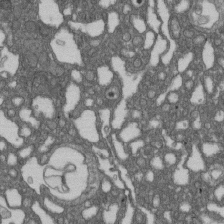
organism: Drosophila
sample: Nephrocyte